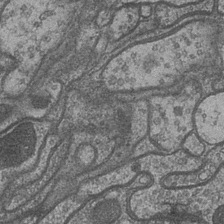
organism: Drosophila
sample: Optic medulla